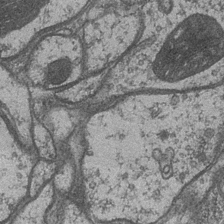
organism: Drosophila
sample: Optic medulla